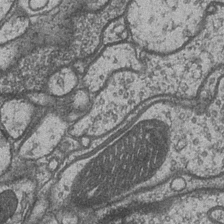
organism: Drosophila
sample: Optic medulla